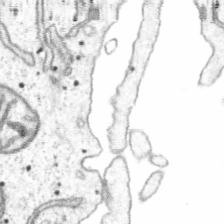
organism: Human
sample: HeLa cells